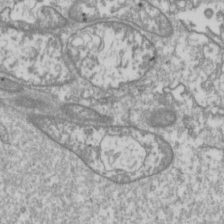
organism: Drosophila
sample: Cell division; meiosis; drosophila spermatocytes